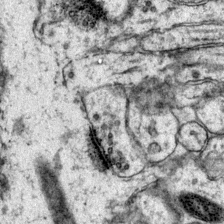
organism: Mouse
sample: Primary visual cortex